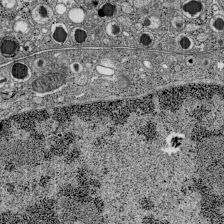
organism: C57BL Mouse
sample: Pancreatic islet